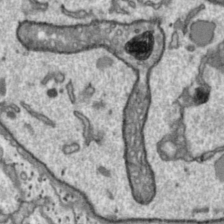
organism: Toxoplasma gondii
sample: Parasites in a vacuole inside a host cell